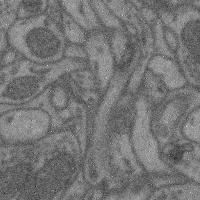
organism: Mouse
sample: Cerebral cortex